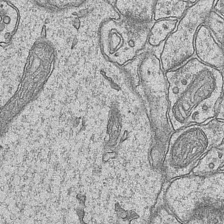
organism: Mouse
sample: CA1 Hippocampus